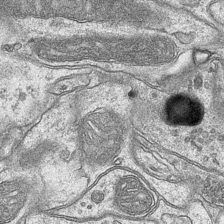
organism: Mouse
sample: CA1 Hippocampus